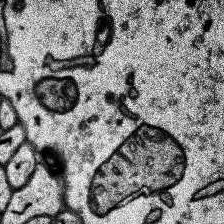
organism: Human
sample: Temporal Lobe